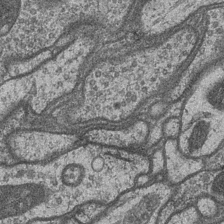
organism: Drosophila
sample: Optic medulla